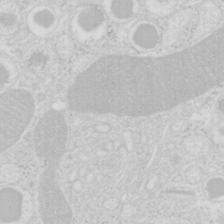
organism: Mouse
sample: Pancreas